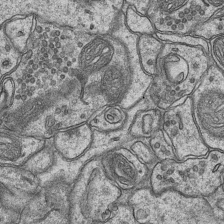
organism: Mouse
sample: CA1 Hippocampus